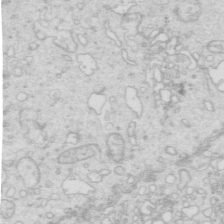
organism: Mouse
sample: Multiciliated cells